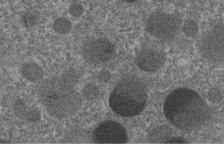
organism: C. elegans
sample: C. elegans embryo early stage